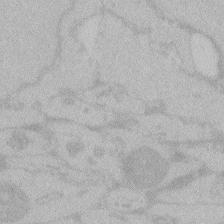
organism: Zebrafish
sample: Macrophage infected with Toxoplasma gondii